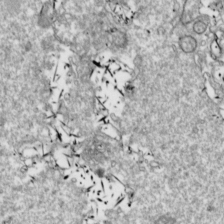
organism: Drosophila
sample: Cell division; meiosis; drosophila spermatocytes